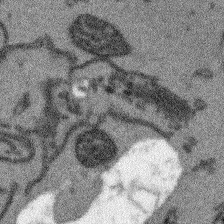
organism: Arabidopsis thaliana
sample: Root tip